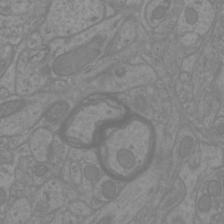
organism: Mouse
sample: Cortical neurons